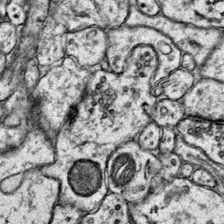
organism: Mouse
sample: Primary visual cortex